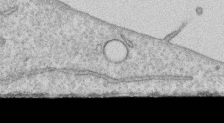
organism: Human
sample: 1205lu cells